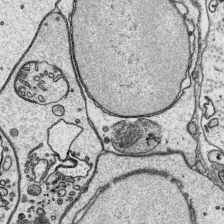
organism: Platynereis dumerilii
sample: Parapodia